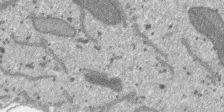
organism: Human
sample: Lung epithelial cells infected with SARS-CoV-2